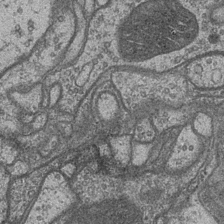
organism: Drosophila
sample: Optic medulla